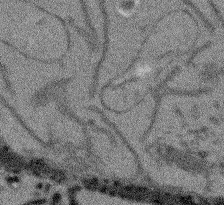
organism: Arabidopsis thaliana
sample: Root tip